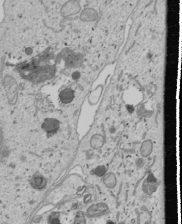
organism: Human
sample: Mitochondria in U2OS cells